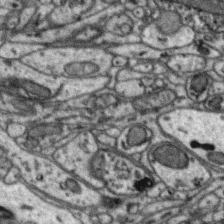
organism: Zebra finch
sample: Brain